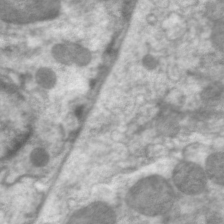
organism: C. elegans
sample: Pharynx